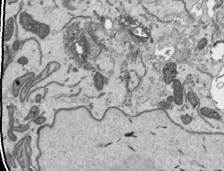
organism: Human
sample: Mitochondria in HCT116 cells